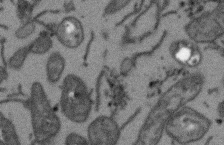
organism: Arabidopsis thaliana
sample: Root tip